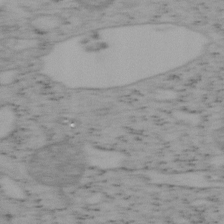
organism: Mouse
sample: OT-I killer T cells with ID8 ovarian cancer cells